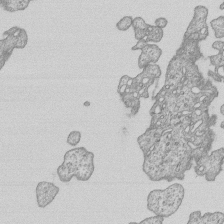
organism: Human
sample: MDA-MB-231 cells